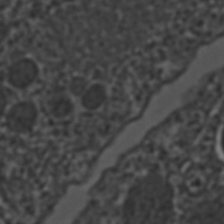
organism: C. elegans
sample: C. elegans embryo